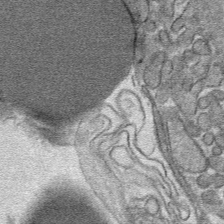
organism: Mouse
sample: Mouse hepatocytes